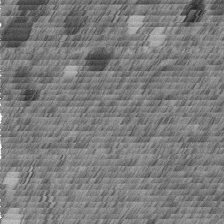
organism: C. elegans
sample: C. elegans embryo early stage